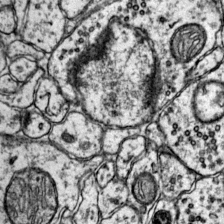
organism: Mouse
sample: Primary visual cortex